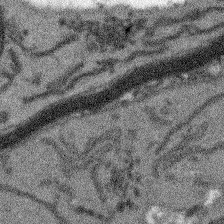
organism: Arabidopsis thaliana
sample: Root tip